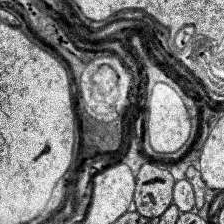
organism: Human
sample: Temporal Lobe